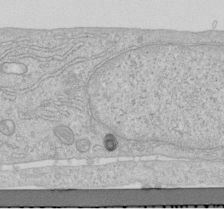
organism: Human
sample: Centriole in RPE cells